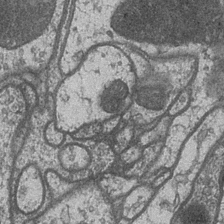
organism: Drosophila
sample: Optic medulla